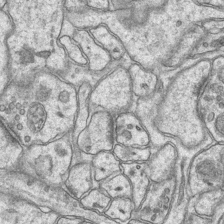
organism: Mouse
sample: CA1 Hippocampus